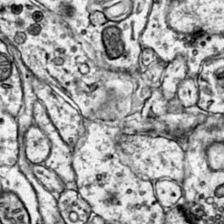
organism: Mouse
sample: Primary visual cortex